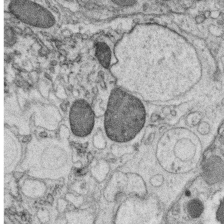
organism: C. elegans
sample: C. elegans oocyte; sperm cells